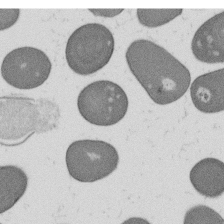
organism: B. subtilis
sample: Bacterial spore